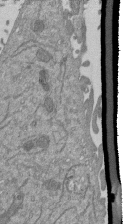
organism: Mouse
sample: ED-1 cell nuclei; centrioles